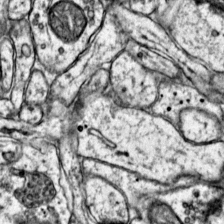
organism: Mouse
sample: Primary visual cortex